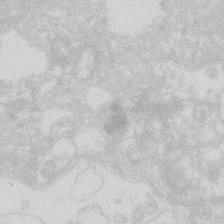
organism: Zebrafish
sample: Macrophage